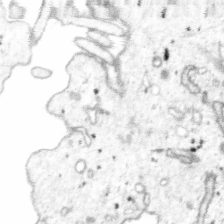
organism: Human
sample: HeLa cells